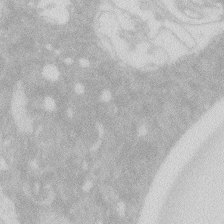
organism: Zebrafish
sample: Macrophage